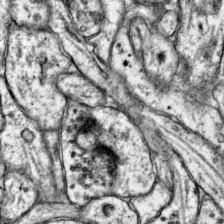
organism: Mouse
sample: Primary visual cortex